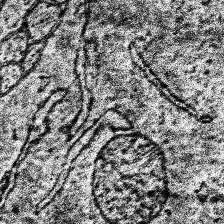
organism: Human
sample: Temporal Lobe